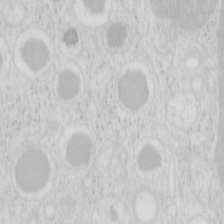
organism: Mouse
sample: Pancreas